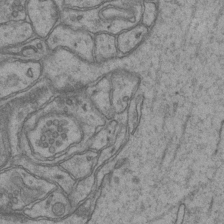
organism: Mouse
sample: CA1 Hippocampus